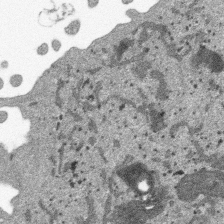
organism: Human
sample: Lung epithelial cells infected with SARS-CoV-2